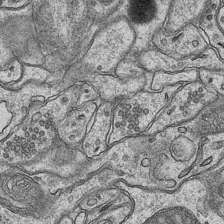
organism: Mouse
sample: CA1 Hippocampus